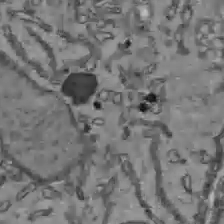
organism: C57BL Mouse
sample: Liver